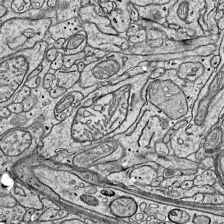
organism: Mouse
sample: Visual Cortex